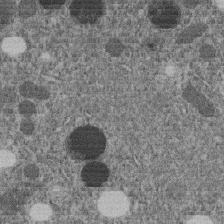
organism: C. elegans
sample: C. elegans embryo early stage